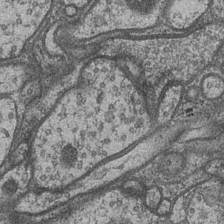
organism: Drosophila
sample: Optic medulla